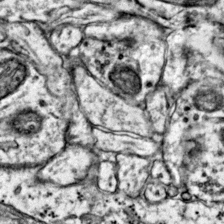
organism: Mouse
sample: Primary visual cortex